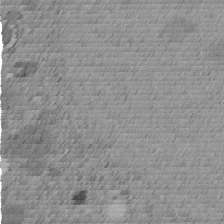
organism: C. elegans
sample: C. elegans embryo early stage